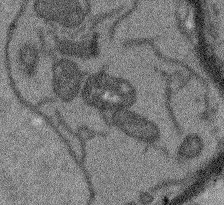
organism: Arabidopsis thaliana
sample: Root tip